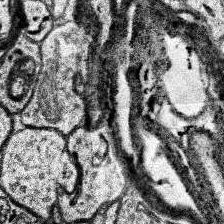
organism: Human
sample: Temporal Lobe